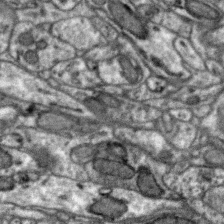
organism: Zebra finch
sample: Brain